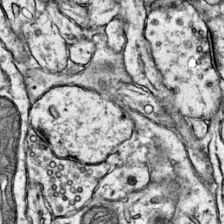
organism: Mouse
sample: Primary visual cortex